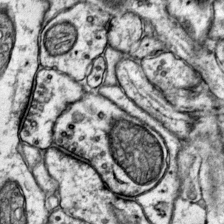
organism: Mouse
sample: Primary visual cortex